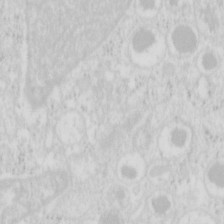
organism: Mouse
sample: Pancreas